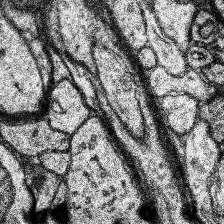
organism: Human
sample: Temporal Lobe